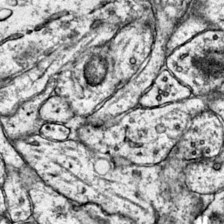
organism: Mouse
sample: Primary visual cortex